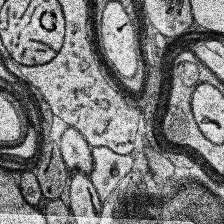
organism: Human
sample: Temporal Lobe